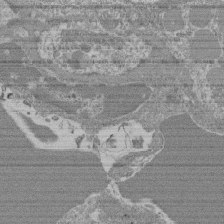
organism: Mouse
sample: Glomerulus